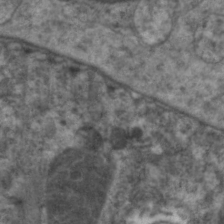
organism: C. elegans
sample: Pharynx